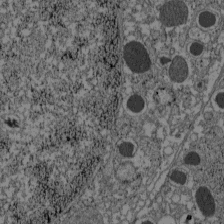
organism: C57BL Mouse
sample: Pancreatic islet